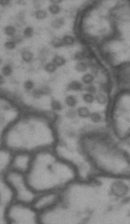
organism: Drosophila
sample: Brain